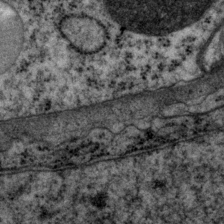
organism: P. pacificus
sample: Pharynx